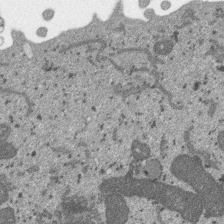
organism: Human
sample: Lung epithelial cells infected with SARS-CoV-2